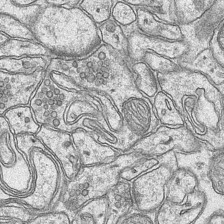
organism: Mouse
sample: CA1 Hippocampus